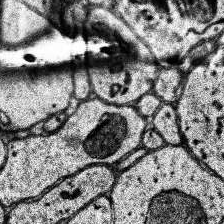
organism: Human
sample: Temporal Lobe